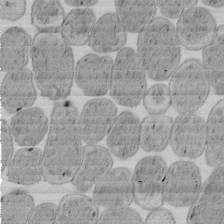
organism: E. coli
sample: Bacterial nucleoid